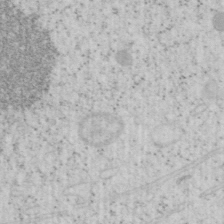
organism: Human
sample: HeLa cells